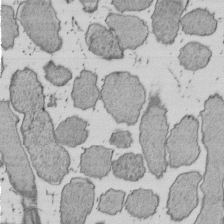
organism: E. coli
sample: Bacterial nucleoid